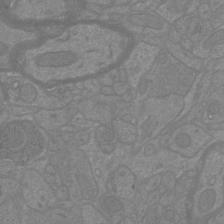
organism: Mouse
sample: Cortical neurons